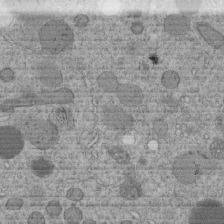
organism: C. elegans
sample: C. elegans embryo early stage